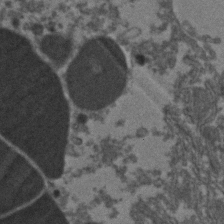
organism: Zebrafish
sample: Zebrafish embryo